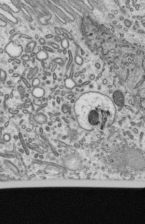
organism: Mouse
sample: Mouse epididymis efferent ductule cilia